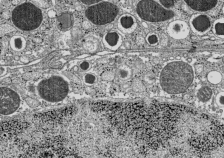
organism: C57BL Mouse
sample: Pancreatic islet